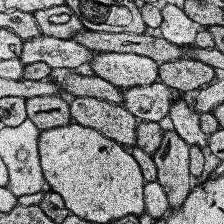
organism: Human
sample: Temporal Lobe